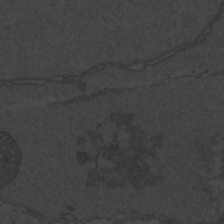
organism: Zebrafish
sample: Macrophage infected with Toxoplasma gondii